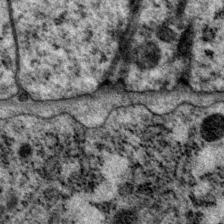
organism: P. pacificus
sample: Pharynx